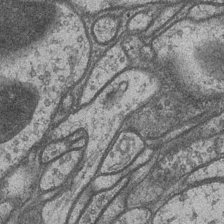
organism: Drosophila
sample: Optic medulla